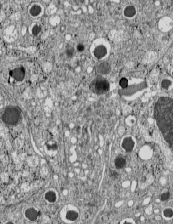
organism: C57BL Mouse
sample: Pancreatic islet